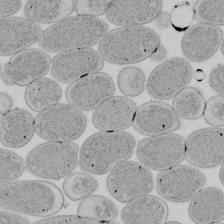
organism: E. coli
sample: Bacterial nucleoid